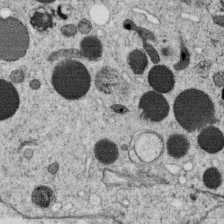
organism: C. elegans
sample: C. elegans oocyte; sperm cells